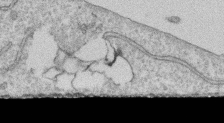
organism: Human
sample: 1205lu cells